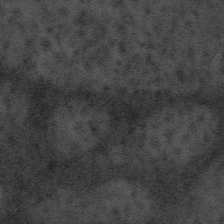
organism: Tuwongella immobilis